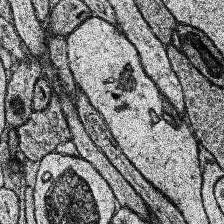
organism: Human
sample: Temporal Lobe